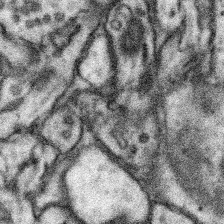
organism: Mouse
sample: Somatosensory cortex neuropil